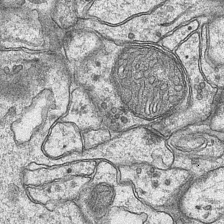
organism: Mouse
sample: CA1 Hippocampus